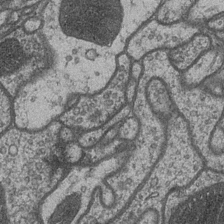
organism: Drosophila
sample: Optic medulla